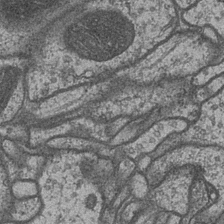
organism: Drosophila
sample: Optic medulla